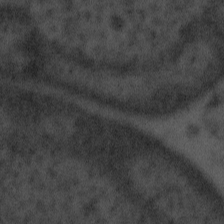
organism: Tuwongella immobilis